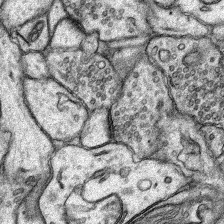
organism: Rat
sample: Hippocampus